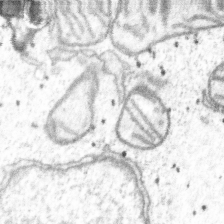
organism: Human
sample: HeLa cells